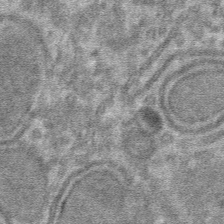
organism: Mouse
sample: Mouse hepatocytes